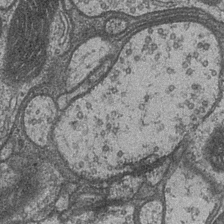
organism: Drosophila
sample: Optic medulla